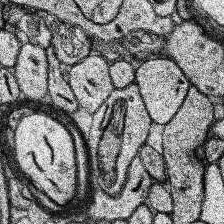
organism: Human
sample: Temporal Lobe